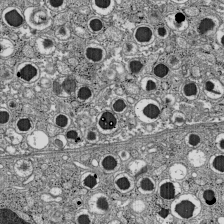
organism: C57BL Mouse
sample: Pancreatic islet